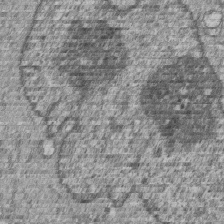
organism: Human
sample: MDA-MB-231 cells